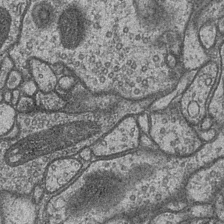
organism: Drosophila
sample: Optic medulla